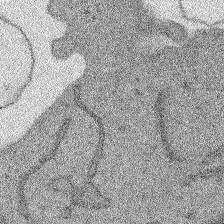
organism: Human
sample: HeLa cells